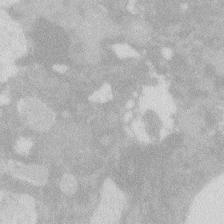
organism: Zebrafish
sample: Macrophage